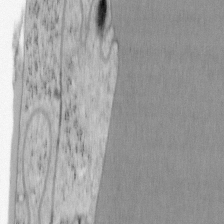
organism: Human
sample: HeLa cells